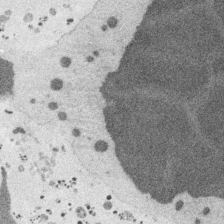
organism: Embia sp.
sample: Silk gland